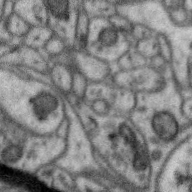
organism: Zebra finch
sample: Brain